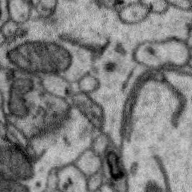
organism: Zebra finch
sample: Brain